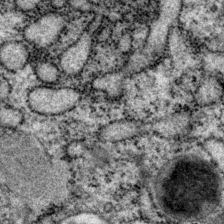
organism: P. pacificus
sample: Pharynx